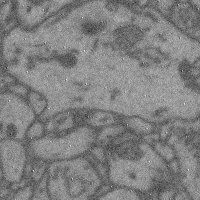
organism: Mouse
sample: Cerebral cortex